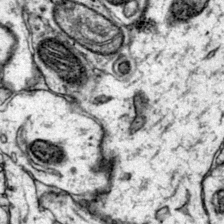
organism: Mouse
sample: Primary visual cortex